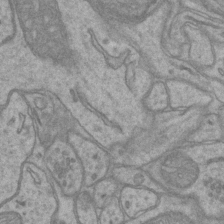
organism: Mouse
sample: CA1 Hippocampus